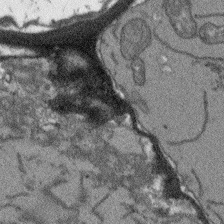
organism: Arabidopsis thaliana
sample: Root tip